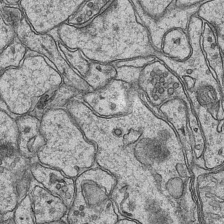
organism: Mouse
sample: CA1 Hippocampus